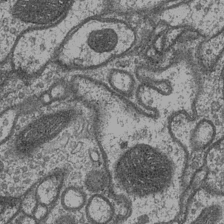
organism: Drosophila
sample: Optic medulla